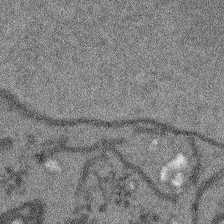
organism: Arabidopsis thaliana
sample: Root tip